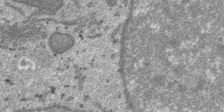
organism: Human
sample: Lung epithelial cells infected with SARS-CoV-2